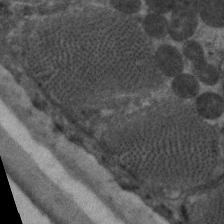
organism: C. elegans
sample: Pharynx